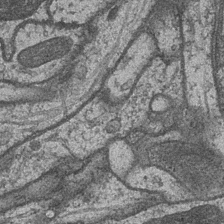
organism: Drosophila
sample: Optic medulla